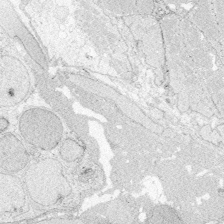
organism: Zebrafish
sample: Whole-Brain